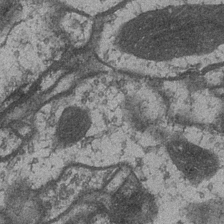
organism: Drosophila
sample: Optic medulla